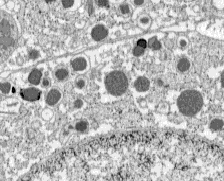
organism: C57BL Mouse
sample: Pancreatic islet